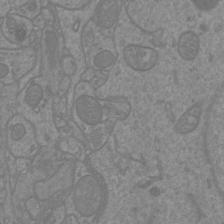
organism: Mouse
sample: Cortical neurons